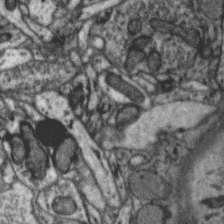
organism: Zebra finch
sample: Brain